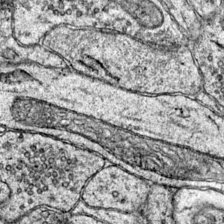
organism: Mouse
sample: Primary visual cortex